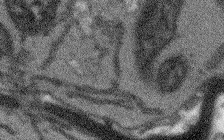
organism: Arabidopsis thaliana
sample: Root tip